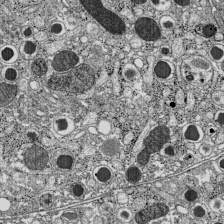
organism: C57BL Mouse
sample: Pancreatic islet